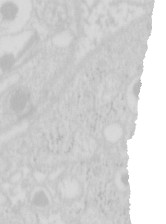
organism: Mouse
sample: Pancreas